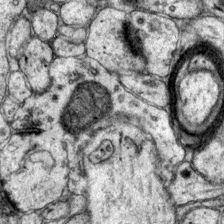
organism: Mouse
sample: Primary visual cortex